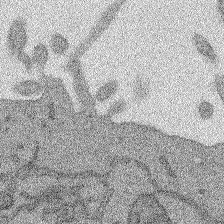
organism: Human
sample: HeLa cells